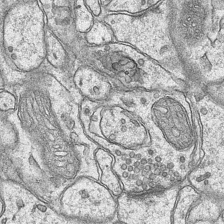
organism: Mouse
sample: CA1 Hippocampus